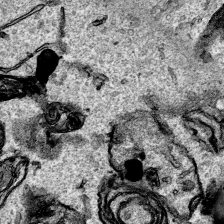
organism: Human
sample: Mitochondria in HCT116 cells